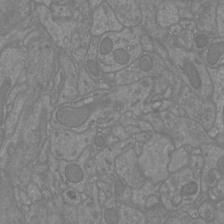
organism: Mouse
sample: Cortical neurons